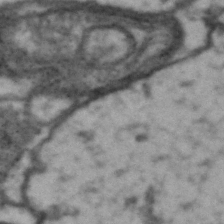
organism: Drosophila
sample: Brain